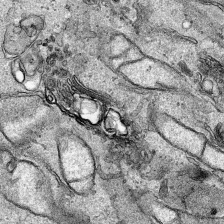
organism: Human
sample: Mitochondria in HCT116 cells